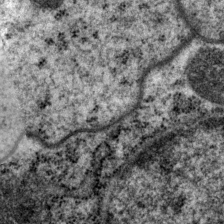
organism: P. pacificus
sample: Pharynx